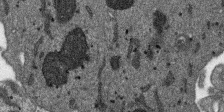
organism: Human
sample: Lung epithelial cells infected with SARS-CoV-2